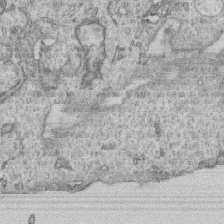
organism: Human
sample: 1205lu cells